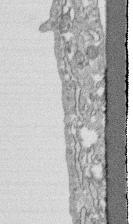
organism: Human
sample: CRL-1474